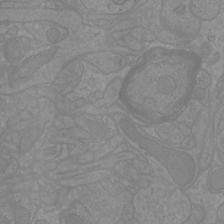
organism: Mouse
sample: Cortical neurons